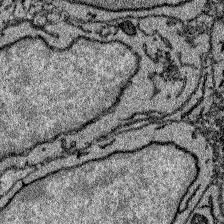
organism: Zebrafish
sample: Larval olfactory bulb